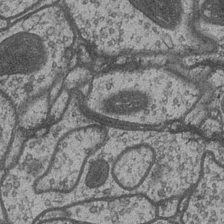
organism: Drosophila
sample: Optic medulla